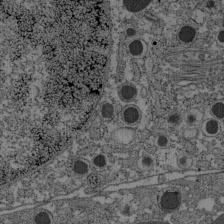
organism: C57BL Mouse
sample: Pancreatic islet